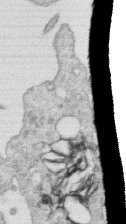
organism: Human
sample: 1205lu cells